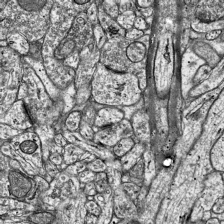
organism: Mouse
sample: Visual Cortex